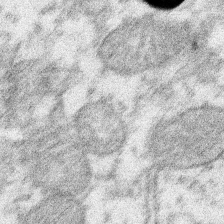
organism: Xenopus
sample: Cilia; centrioles in frog embryo cells